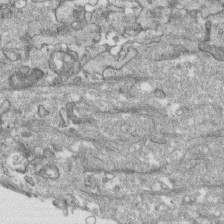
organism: Human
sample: CRL-1474